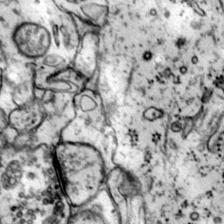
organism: Mouse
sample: Primary visual cortex